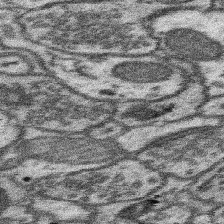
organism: Mouse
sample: Somatosensory cortex neuropil